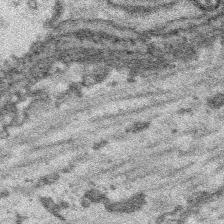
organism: Platynereis dumerilii